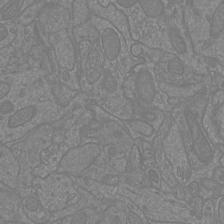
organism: Mouse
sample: Cortical neurons